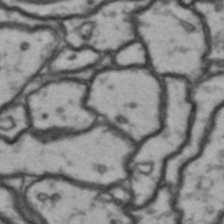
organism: Drosophila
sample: Brain